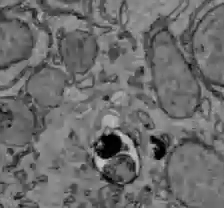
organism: C57BL Mouse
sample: Liver